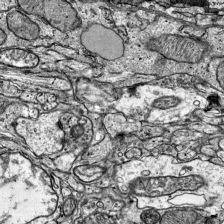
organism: Mouse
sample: Visual Cortex